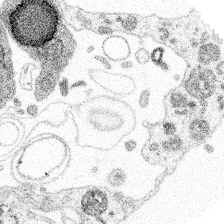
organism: Spongilla lacustris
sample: Multiple